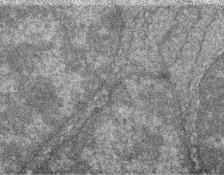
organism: Zebrafish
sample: Cilia; retinal pigment epithelium